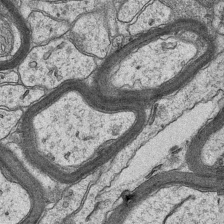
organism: Mouse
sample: CA1 Hippocampus